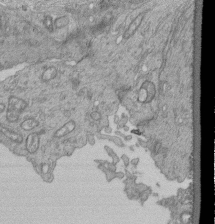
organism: Human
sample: Retinal organoid Rod and Cone cells